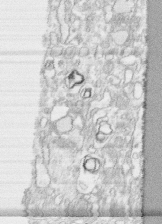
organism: Human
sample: CRL-1474